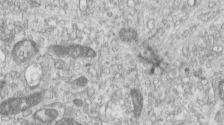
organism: Human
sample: Centriole in RPE cells